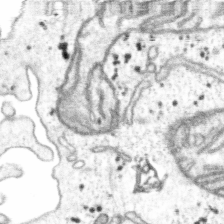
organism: Human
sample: HeLa cells